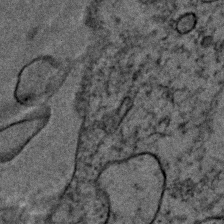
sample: Trachea